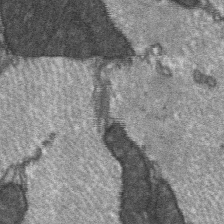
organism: C57BL Mouse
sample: Soleus